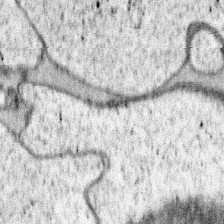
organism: Human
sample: HeLa cells